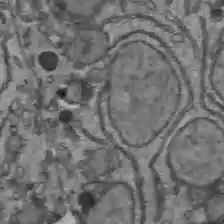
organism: C57BL Mouse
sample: Liver